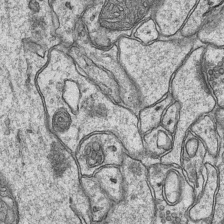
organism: Mouse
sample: CA1 Hippocampus